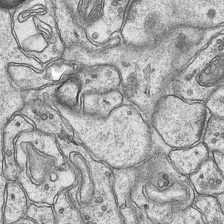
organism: Mouse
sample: CA1 Hippocampus